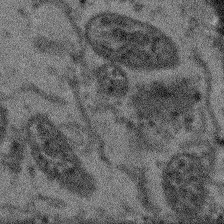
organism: Arabidopsis thaliana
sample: Root tip